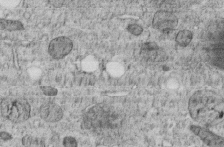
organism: C. elegans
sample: C. elegans embryo early stage